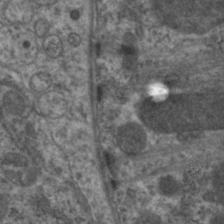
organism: C. elegans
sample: Pharynx